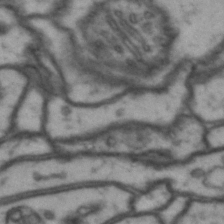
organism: Drosophila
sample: Brain